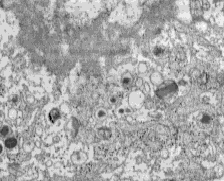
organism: C57BL Mouse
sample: Pancreatic islet